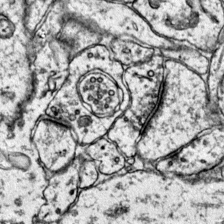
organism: Mouse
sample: Primary visual cortex